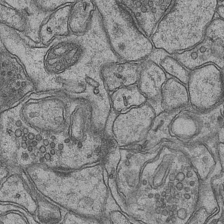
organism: Mouse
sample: CA1 Hippocampus